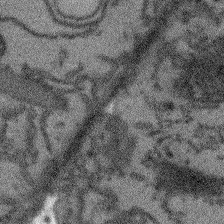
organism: Arabidopsis thaliana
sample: Root tip